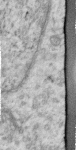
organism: Human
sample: Centriole in RPE cells